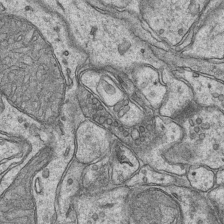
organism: Mouse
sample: CA1 Hippocampus